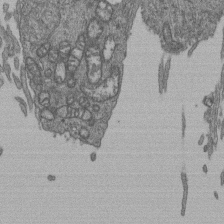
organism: Human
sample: Retinal organoid Rod and Cone cells